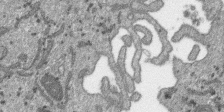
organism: Human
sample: Lung epithelial cells infected with SARS-CoV-2